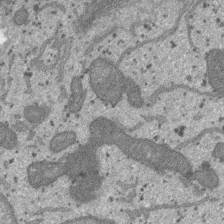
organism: Human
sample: Lung epithelial cells infected with SARS-CoV-2